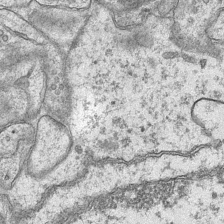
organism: Mouse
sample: CA1 Hippocampus